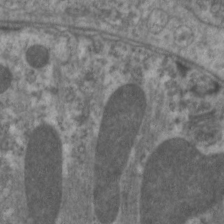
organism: C. elegans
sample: Pharynx